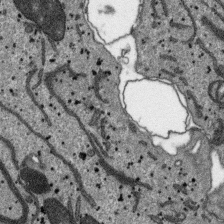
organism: Human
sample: Lung epithelial cells, uninfected (mock) control